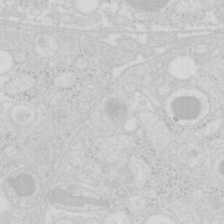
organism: Mouse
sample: Pancreas